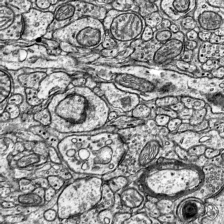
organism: Mouse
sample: Visual Cortex